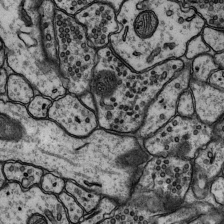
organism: Rat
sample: Hippocampus